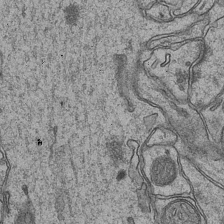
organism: Mouse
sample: CA1 Hippocampus